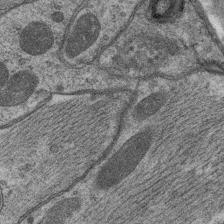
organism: C. elegans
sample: Pharynx